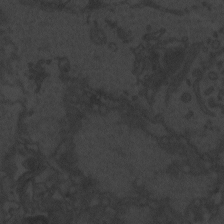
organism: Zebrafish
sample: Macrophage infected with Toxoplasma gondii